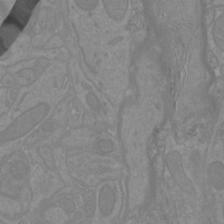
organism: Mouse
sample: Cortical neurons